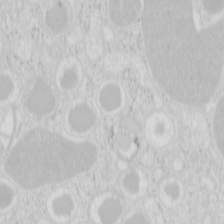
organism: Mouse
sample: Pancreas